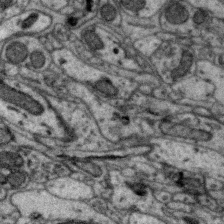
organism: Zebra finch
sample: Brain